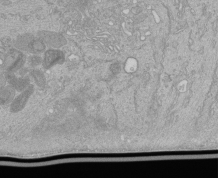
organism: Human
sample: Retinal organoid Rod and Cone cells